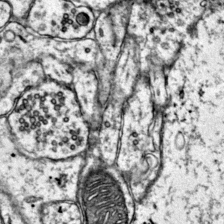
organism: Mouse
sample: Primary visual cortex